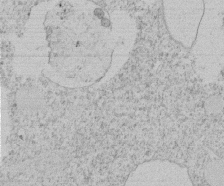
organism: Tetrahymena